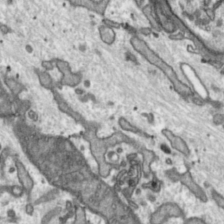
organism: Toxoplasma gondii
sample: Parasites in a vacuole inside a host cell